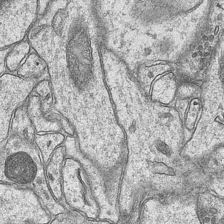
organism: Mouse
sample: CA1 Hippocampus